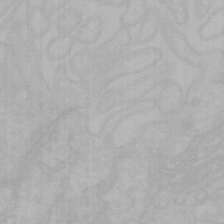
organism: Mouse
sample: Choroid plexus